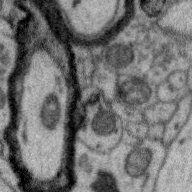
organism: Zebra finch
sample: Brain